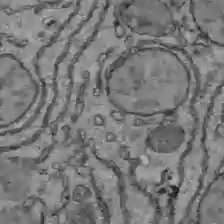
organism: C57BL Mouse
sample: Liver